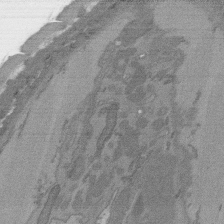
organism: C. elegans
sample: AFD neurons C. elegans